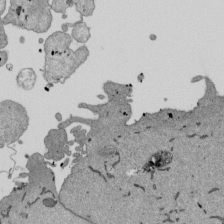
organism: Mouse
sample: ED-1 cell nuclei; centrioles